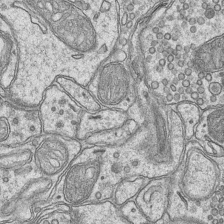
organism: Mouse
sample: CA1 Hippocampus